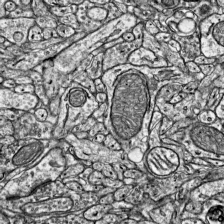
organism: Mouse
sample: Visual Cortex